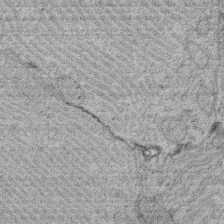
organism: Rat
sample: Salivary granule